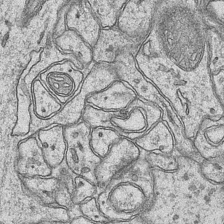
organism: Mouse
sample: CA1 Hippocampus